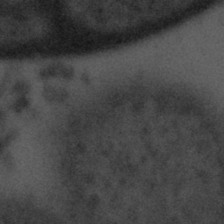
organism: Tuwongella immobilis